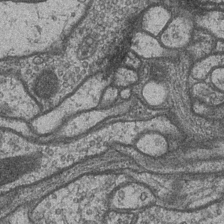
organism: Drosophila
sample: Optic medulla